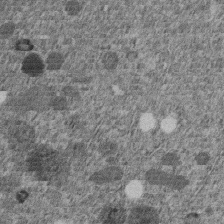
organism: C. elegans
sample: C. elegans embryo early stage